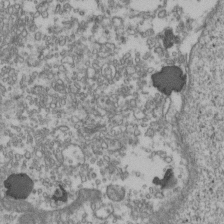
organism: Human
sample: Activated Jurkat CD4+ T cells